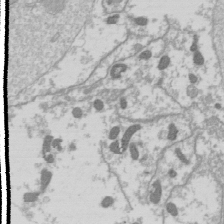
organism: Drosophila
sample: Cell division; meiosis; drosophila spermatocytes